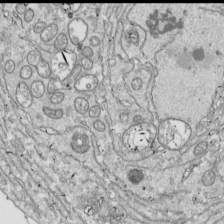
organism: Drosophila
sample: Cell division; meiosis; drosophila spermatocytes